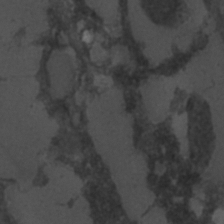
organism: C. elegans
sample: C. elegans embryo